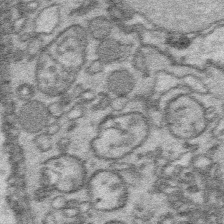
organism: Platynereis dumerilii